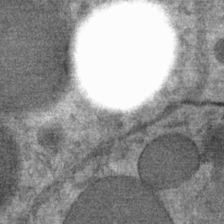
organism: Mouse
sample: Mouse Salivary gland